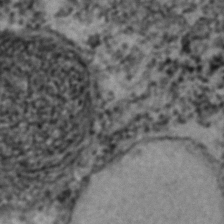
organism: C. elegans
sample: C. elegans embryo